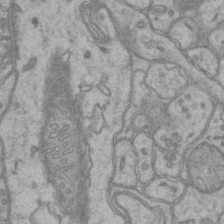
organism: Mouse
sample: CA1 Hippocampus